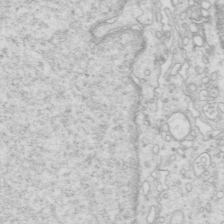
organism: Mouse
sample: Multiciliated cells